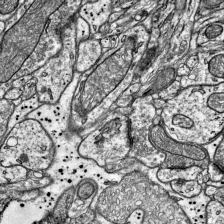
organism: Mouse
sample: Visual Cortex